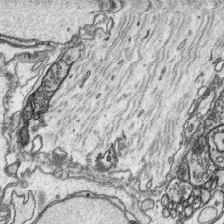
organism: Platynereis dumerilii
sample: Parapodia